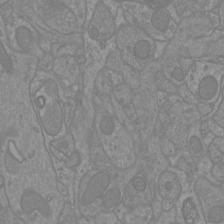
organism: Mouse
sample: Cortical neurons